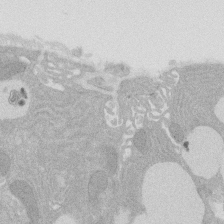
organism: Rat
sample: Salivary granule